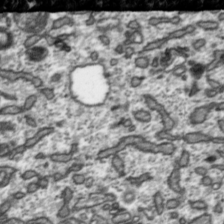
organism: Toxoplasma gondii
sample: Parasites in a vacuole inside a host cell